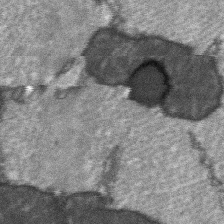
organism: C57BL Mouse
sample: Soleus